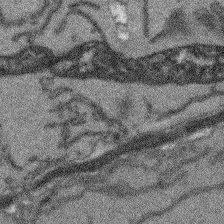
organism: Arabidopsis thaliana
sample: Root tip